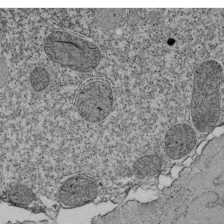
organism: Tetrahymena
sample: Cilia in tetrahymena